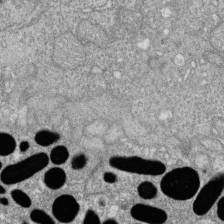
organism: Zebrafish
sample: Cilia; retinal pigment epithelium